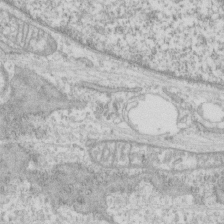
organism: Human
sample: CRL-1474